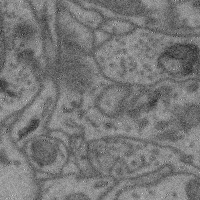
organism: Mouse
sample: Cerebral cortex